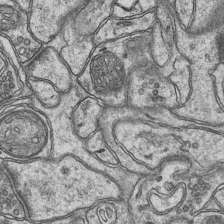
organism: Mouse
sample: CA1 Hippocampus